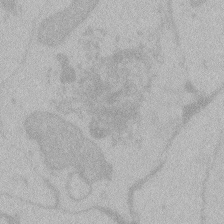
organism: Zebrafish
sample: Macrophage infected with Toxoplasma gondii